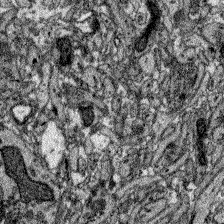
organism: Zebrafish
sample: Larval olfactory bulb